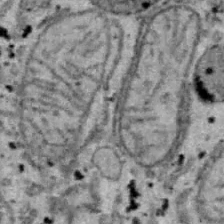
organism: Mouse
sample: Liver from an obese (ob/ob) mouse